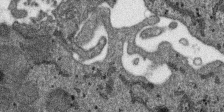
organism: Human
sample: Lung epithelial cells infected with SARS-CoV-2